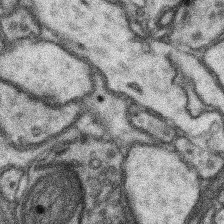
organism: Mouse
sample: Somatosensory cortex neuropil